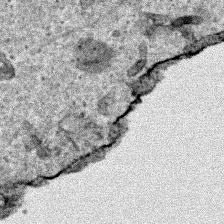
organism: Human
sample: Mitochondria in HCT116 cells